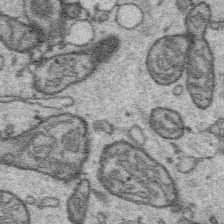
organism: Platynereis dumerilii